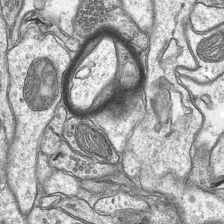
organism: Mouse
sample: CA1 Hippocampus